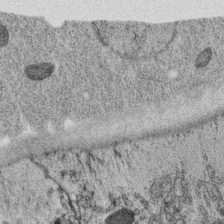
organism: C. elegans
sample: C. elegans oocyte; sperm cells